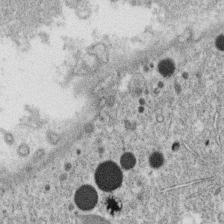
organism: C. elegans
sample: C. elegans oocyte; sperm cells